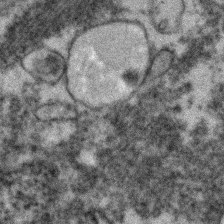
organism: Zebrafish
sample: Zebrafish embryo